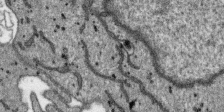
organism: Human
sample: Lung epithelial cells, uninfected (mock) control